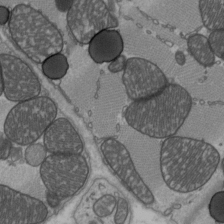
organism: C57BL Mouse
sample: Heart